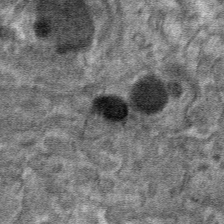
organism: Mouse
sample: Mouse hepatocytes